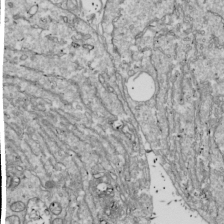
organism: Drosophila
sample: Cell division; meiosis; drosophila spermatocytes